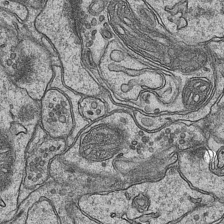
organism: Mouse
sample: CA1 Hippocampus